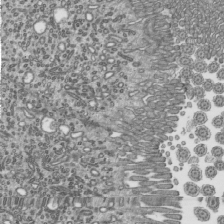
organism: Mouse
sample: Mouse epididymis efferent ductule cilia